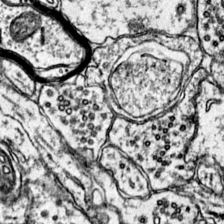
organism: Mouse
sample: Primary visual cortex